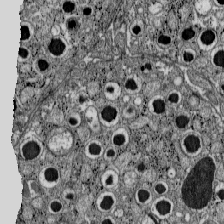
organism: C57BL Mouse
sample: Pancreatic islet